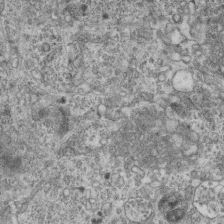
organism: Mouse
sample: Centriole in ependymal cells